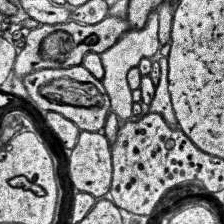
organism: Human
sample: Temporal Lobe